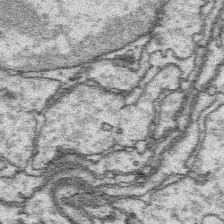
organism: Platynereis dumerilii